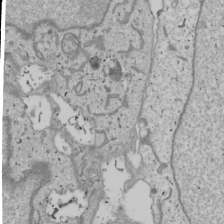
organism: Human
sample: Mitochondria in U2OS cells